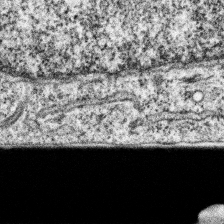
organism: Human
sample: HeLa cells